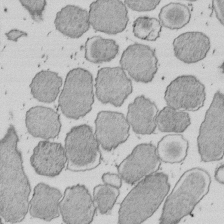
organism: E. coli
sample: Bacterial nucleoid